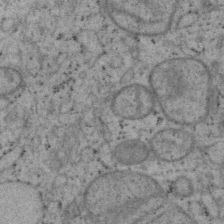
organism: Human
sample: HeLa cells